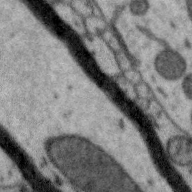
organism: Zebra finch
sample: Brain